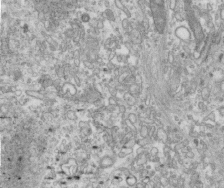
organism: Human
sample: Centriole in fibroblast cells